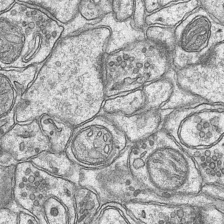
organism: Mouse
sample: CA1 Hippocampus